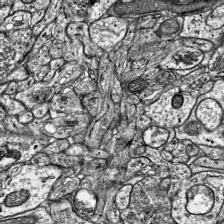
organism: Mouse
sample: Visual Cortex